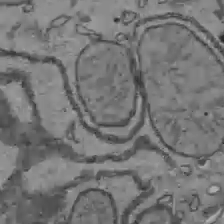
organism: C57BL Mouse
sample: Liver